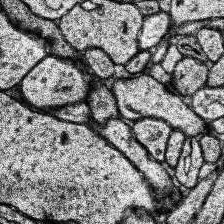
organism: Human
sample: Temporal Lobe